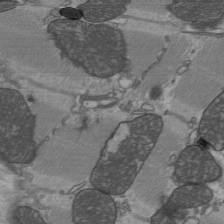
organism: C57BL Mouse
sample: Heart